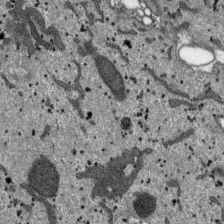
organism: Human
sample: Lung epithelial cells, uninfected (mock) control